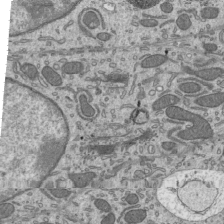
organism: Mouse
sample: Mouse epididymis efferent ductule cilia